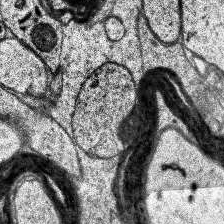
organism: Human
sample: Temporal Lobe